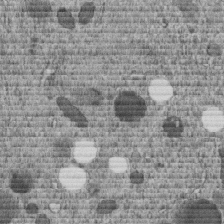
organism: C. elegans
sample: C. elegans embryo early stage